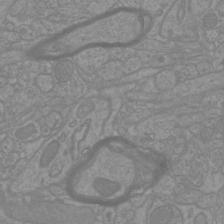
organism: Mouse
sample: Cortical neurons